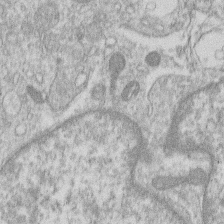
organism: Human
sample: Macrophage cells